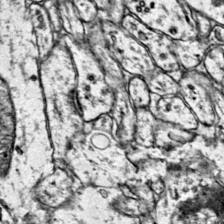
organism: Mouse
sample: Primary visual cortex